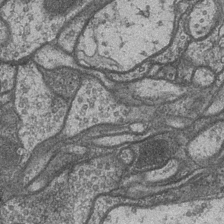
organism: Drosophila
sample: Optic medulla